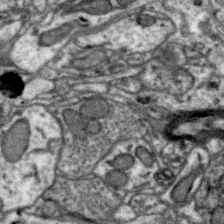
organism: Zebra finch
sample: Brain